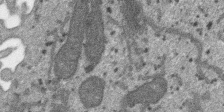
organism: Human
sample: Lung epithelial cells infected with SARS-CoV-2